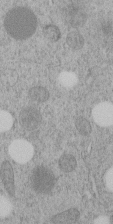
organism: C. elegans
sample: C. elegans embryo early stage